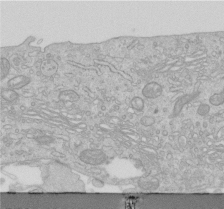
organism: Human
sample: Centriole in RPE cells